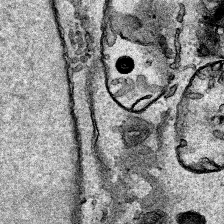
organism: Human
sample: Mitochondria in HCT116 cells